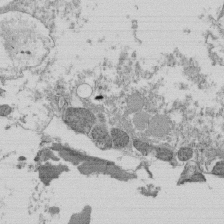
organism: Tetrahymena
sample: Cilia in tetrahymena